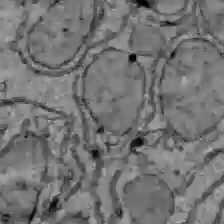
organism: C57BL Mouse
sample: Liver